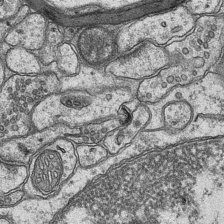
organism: Mouse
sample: CA1 Hippocampus